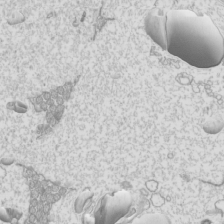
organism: Mouse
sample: Cilia; mouse epididymis